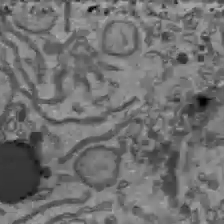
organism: C57BL Mouse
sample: Liver